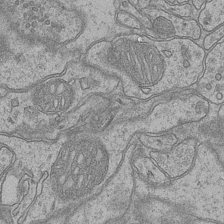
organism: Mouse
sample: CA1 Hippocampus